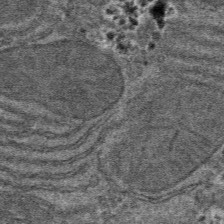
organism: Mouse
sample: Mouse hepatocytes